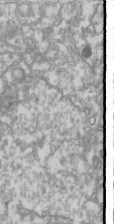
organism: Drosophila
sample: Cell division; meiosis; drosophila spermatocytes